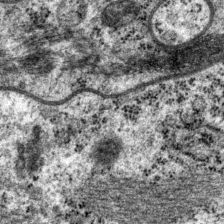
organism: P. pacificus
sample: Pharynx